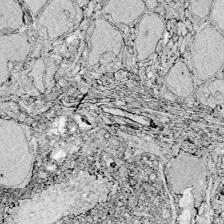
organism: Zebrafish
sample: Whole-Brain